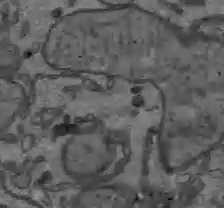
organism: C57BL Mouse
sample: Liver